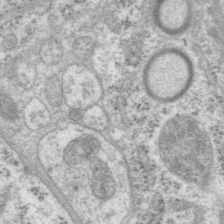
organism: P. pacificus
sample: Pharynx